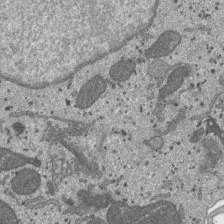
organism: Human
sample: Lung epithelial cells infected with SARS-CoV-2